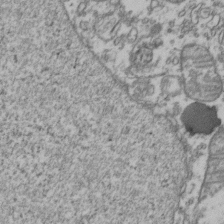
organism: Human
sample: Activated Jurkat CD4+ T cells